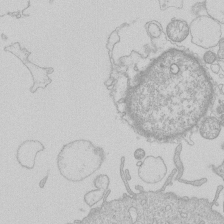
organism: Human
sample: Macrophage cells